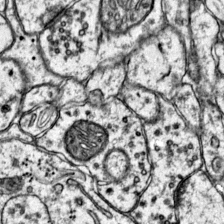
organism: Mouse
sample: Primary visual cortex